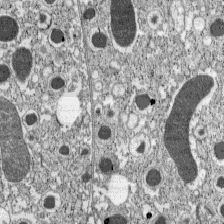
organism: C57BL Mouse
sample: Pancreatic islet